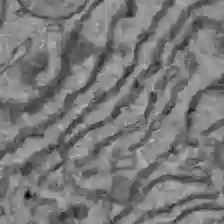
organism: C57BL Mouse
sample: Liver